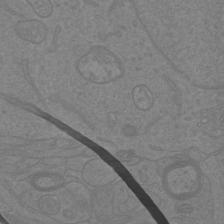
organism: Mouse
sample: Cortical neurons